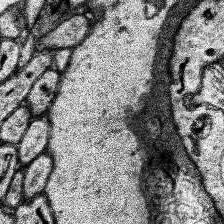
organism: Human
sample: Temporal Lobe